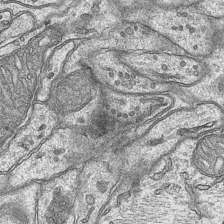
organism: Mouse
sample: CA1 Hippocampus